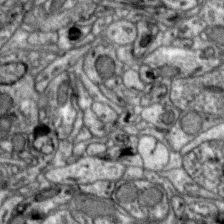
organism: Zebra finch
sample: Brain